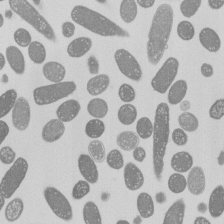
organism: E. coli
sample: Bacterial nucleoid